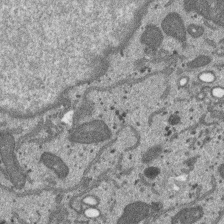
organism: Human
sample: Lung epithelial cells infected with SARS-CoV-2